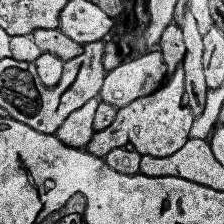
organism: Human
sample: Temporal Lobe